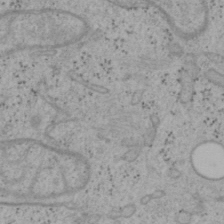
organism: Human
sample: HeLa cells